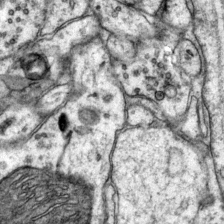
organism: Mouse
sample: Primary visual cortex